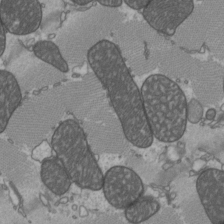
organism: C57BL Mouse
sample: Heart